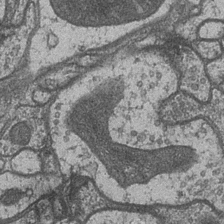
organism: Drosophila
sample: Optic medulla